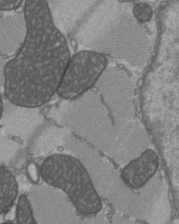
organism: C57BL Mouse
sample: Heart